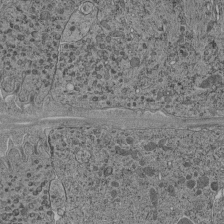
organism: C. elegans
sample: C. elegans pharynx